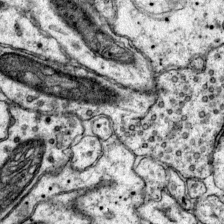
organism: Mouse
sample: Primary visual cortex